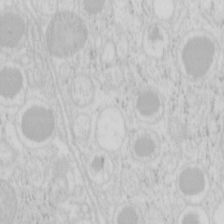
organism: Mouse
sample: Pancreas